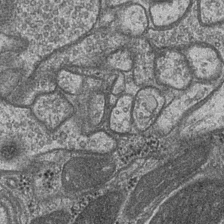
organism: Drosophila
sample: Optic medulla